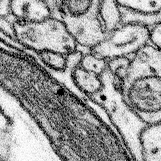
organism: Mouse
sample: Somatosensory cortex neuropil